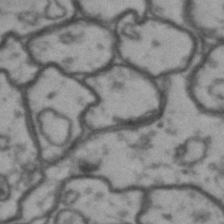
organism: Drosophila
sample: Brain